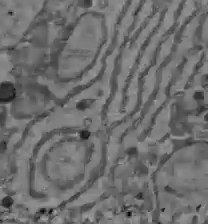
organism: C57BL Mouse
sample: Liver